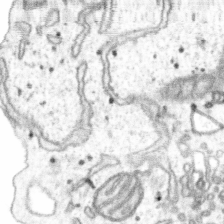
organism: Human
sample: HeLa cells